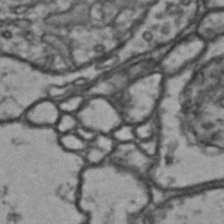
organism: Drosophila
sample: Brain